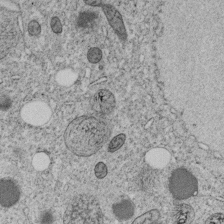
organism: C. elegans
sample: C. elegans embryo early stage